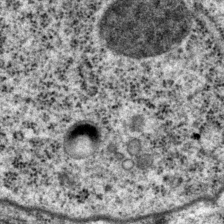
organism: P. pacificus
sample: Pharynx